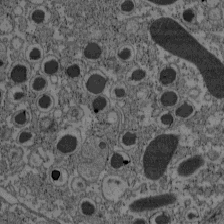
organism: C57BL Mouse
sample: Pancreatic islet